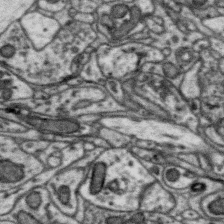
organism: Zebra finch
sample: Brain